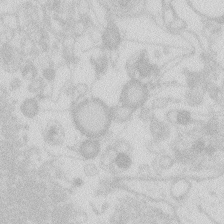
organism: Zebrafish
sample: Macrophage